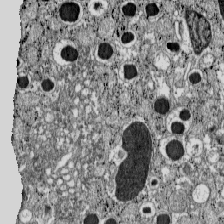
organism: C57BL Mouse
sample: Pancreatic islet